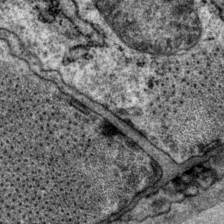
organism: P. pacificus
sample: Pharynx